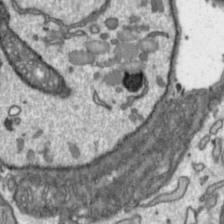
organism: Toxoplasma gondii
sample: Parasites in a vacuole inside a host cell